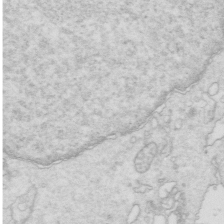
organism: Mouse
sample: Multiciliated cells